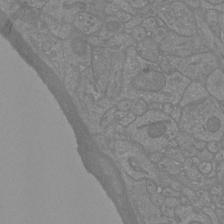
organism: Mouse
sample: Cortical neurons